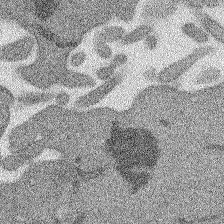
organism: Human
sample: HeLa cells